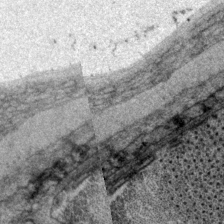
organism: P. pacificus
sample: Pharynx